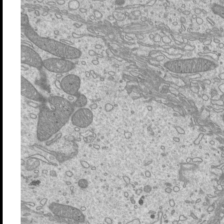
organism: Mouse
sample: Cilia; mouse epididymis